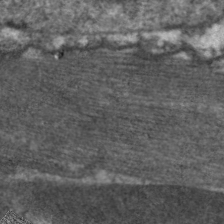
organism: C. elegans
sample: Pharynx